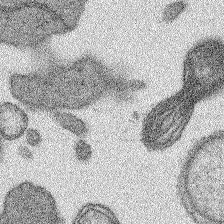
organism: Human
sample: HeLa cells